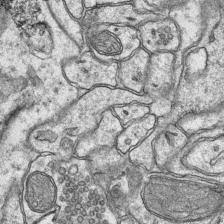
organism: Mouse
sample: CA1 Hippocampus